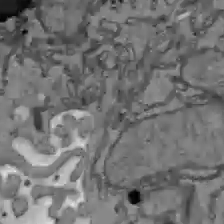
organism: C57BL Mouse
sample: Liver